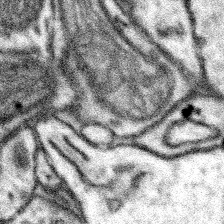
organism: Mouse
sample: Somatosensory cortex neuropil